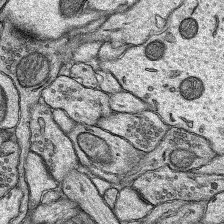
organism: Rat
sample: Hippocampus